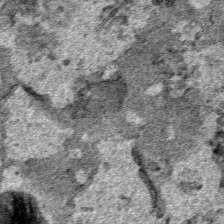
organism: Human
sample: Mitochondria in HCT116 cells